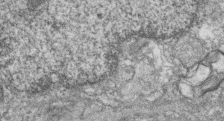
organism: Zebrafish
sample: Cilia; retinal pigment epithelium